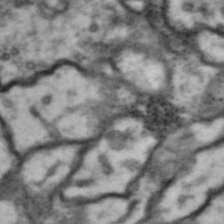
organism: Drosophila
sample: Brain